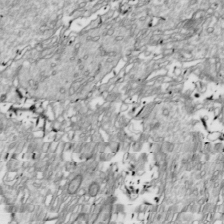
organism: Drosophila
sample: Cell division; meiosis; drosophila spermatocytes